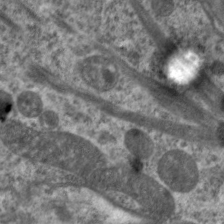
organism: C. elegans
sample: Pharynx